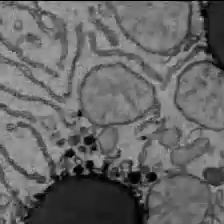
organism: C57BL Mouse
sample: Liver